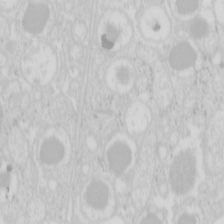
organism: Mouse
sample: Pancreas